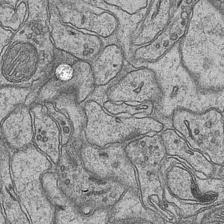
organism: Mouse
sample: CA1 Hippocampus